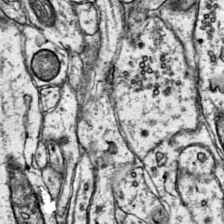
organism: Mouse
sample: Primary visual cortex